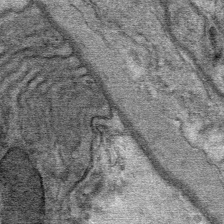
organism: Mouse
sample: Mouse Salivary gland